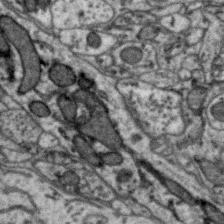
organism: Zebra finch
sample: Brain